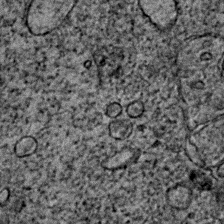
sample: Trachea